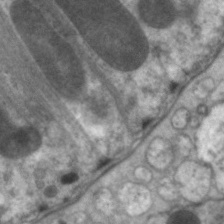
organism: C. elegans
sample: Pharynx